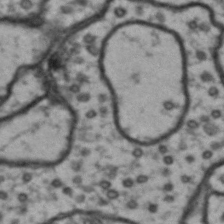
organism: Drosophila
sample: Brain